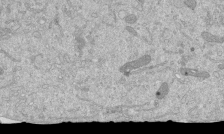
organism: Mouse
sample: ED-1 cell nuclei; centrioles